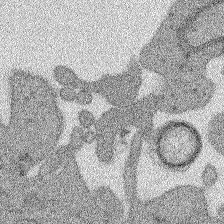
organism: Human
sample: HeLa cells